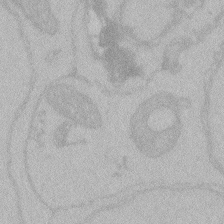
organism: Zebrafish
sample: Macrophage infected with Toxoplasma gondii